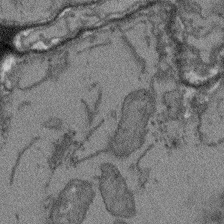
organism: Arabidopsis thaliana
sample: Root tip